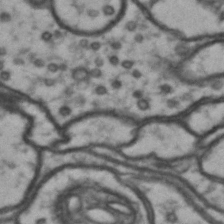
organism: Drosophila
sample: Brain